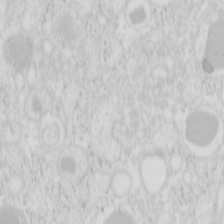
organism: Mouse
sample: Pancreas